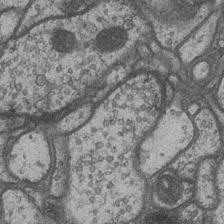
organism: Drosophila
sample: Optic medulla